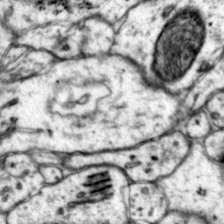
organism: Mouse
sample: Primary visual cortex